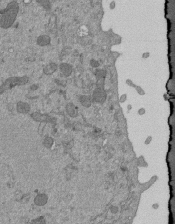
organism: Mouse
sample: ED-1 cell nuclei; centrioles